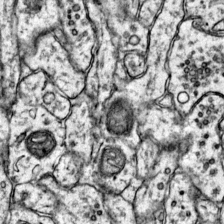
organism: Mouse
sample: Primary visual cortex